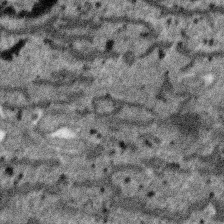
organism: Human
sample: Lung epithelial cells infected with SARS-CoV-2